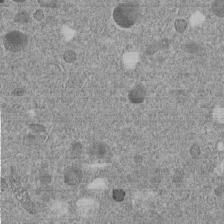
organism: C. elegans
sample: C. elegans embryo early stage